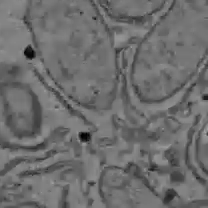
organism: C57BL Mouse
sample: Liver